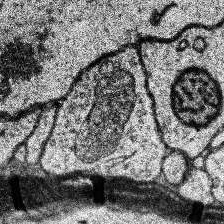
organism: Human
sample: Temporal Lobe